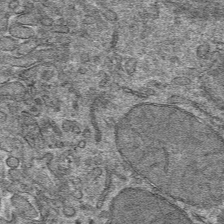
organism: Mouse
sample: Mouse hepatocytes